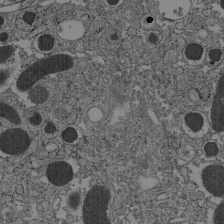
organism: C57BL Mouse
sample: Pancreatic islet